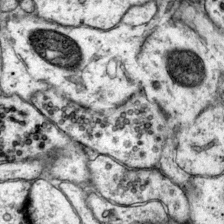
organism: Mouse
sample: Primary visual cortex